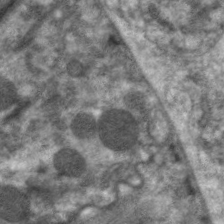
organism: C. elegans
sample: Pharynx